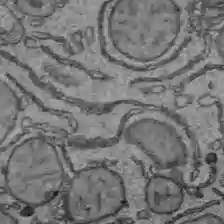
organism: C57BL Mouse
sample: Liver